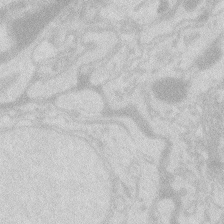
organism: Zebrafish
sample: Macrophage